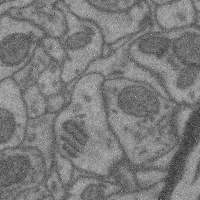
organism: Mouse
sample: Cerebral cortex